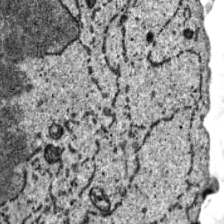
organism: Human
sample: HeLa cells